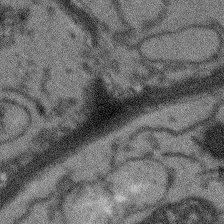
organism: Arabidopsis thaliana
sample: Root tip